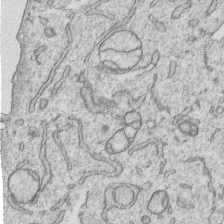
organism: Human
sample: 1205lu cells